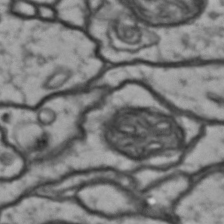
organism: Drosophila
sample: Brain